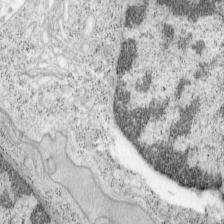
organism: Mouse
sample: OT-I killer T cells with ID8 ovarian cancer cells